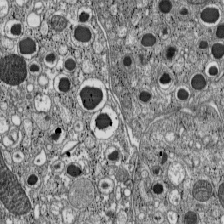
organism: C57BL Mouse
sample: Pancreatic islet